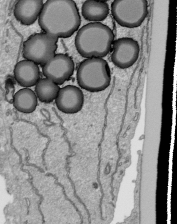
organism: Human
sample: Mitochondria in HCT116 cells